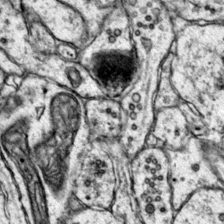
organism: Mouse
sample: Primary visual cortex